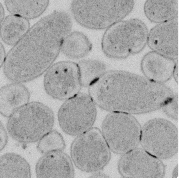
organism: E. coli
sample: Bacterial nucleoid